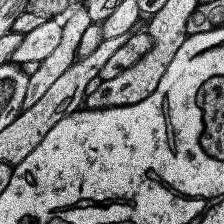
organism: Human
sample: Temporal Lobe